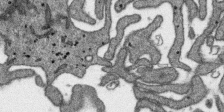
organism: Human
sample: Lung epithelial cells, uninfected (mock) control